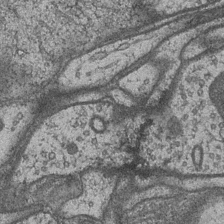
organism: Drosophila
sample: Optic medulla